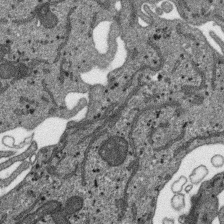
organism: Human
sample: Lung epithelial cells infected with SARS-CoV-2